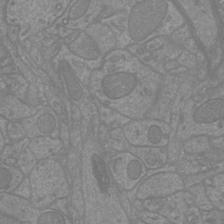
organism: Mouse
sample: Cortical neurons